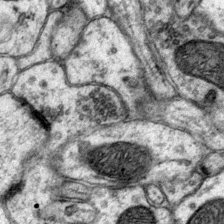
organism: Mouse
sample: Primary visual cortex